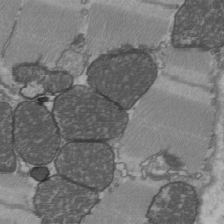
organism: C57BL Mouse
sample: Heart